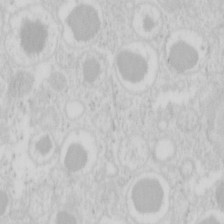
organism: Mouse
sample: Pancreas